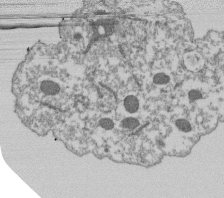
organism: Dictyostelium discoideum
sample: Dictyostelium multivesicular bodies